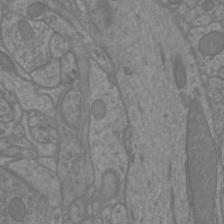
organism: Mouse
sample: Cortical neurons